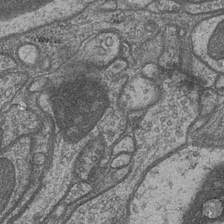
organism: Drosophila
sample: Optic medulla